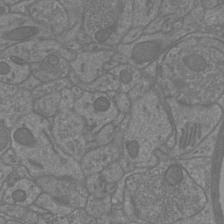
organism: Mouse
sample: Cortical neurons